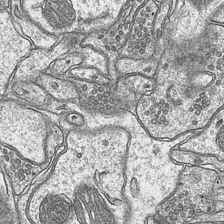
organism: Mouse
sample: CA1 Hippocampus